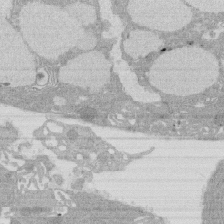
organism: Rat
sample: Salivary granule